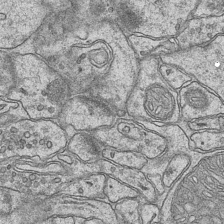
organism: Mouse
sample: CA1 Hippocampus